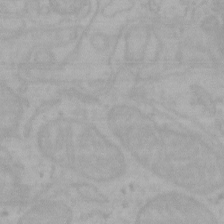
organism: Mouse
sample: Choroid plexus